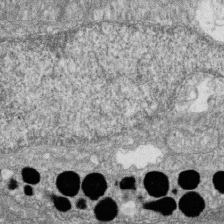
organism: Zebrafish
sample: Cilia; retinal pigment epithelium